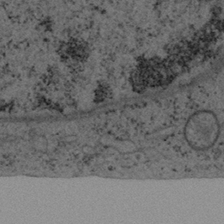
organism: Human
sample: HeLa cells